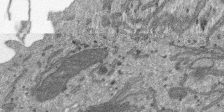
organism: Human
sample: Lung epithelial cells infected with SARS-CoV-2